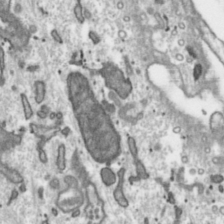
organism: Toxoplasma gondii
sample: Parasites in a vacuole inside a host cell